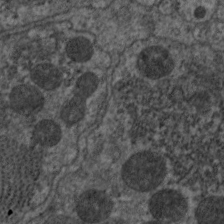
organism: C. elegans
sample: Pharynx